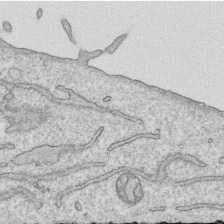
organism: Human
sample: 1205lu cells